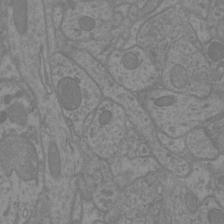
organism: Mouse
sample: Cortical neurons